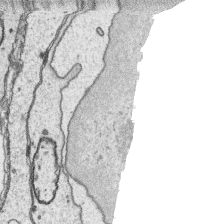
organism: Platynereis dumerilii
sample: Parapodia